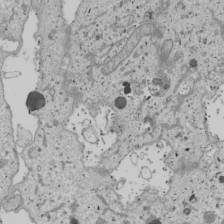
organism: Human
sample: Mitochondria in U2OS cells